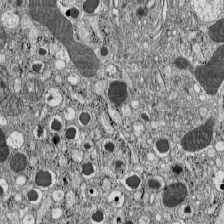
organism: C57BL Mouse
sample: Pancreatic islet